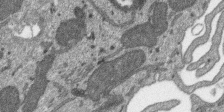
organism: Human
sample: Lung epithelial cells infected with SARS-CoV-2